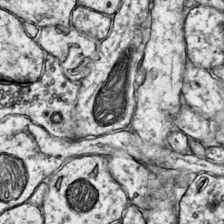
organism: Mouse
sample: Primary visual cortex